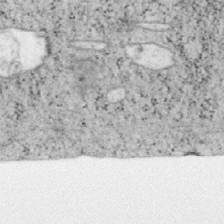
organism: Mouse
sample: OT-I killer T cells with ID8 ovarian cancer cells